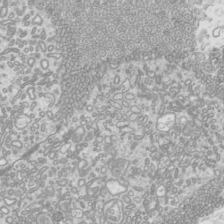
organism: Mouse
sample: Cilia; mouse epididymis